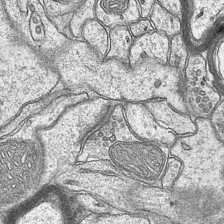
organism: Mouse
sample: CA1 Hippocampus